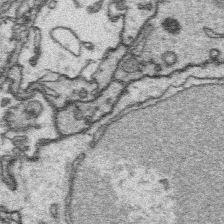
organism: Platynereis dumerilii